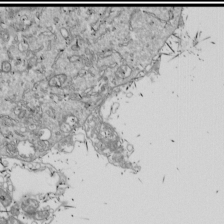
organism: Drosophila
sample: Cell division; meiosis; drosophila spermatocytes